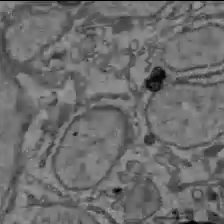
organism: C57BL Mouse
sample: Liver